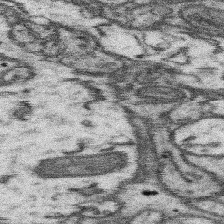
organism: Mouse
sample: Somatosensory cortex neuropil